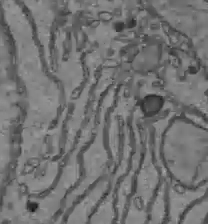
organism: C57BL Mouse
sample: Liver